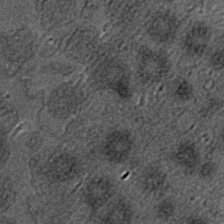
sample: Trachea